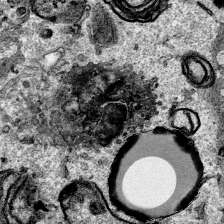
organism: Human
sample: Mitochondria in HCT116 cells